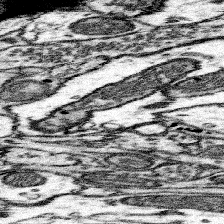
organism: Mouse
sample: Somatosensory cortex neuropil